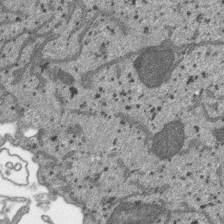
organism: Human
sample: Lung epithelial cells infected with SARS-CoV-2